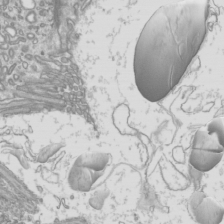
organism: Mouse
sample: Cilia; mouse epididymis